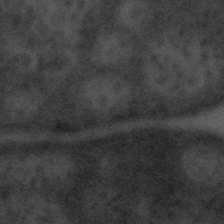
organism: Tuwongella immobilis